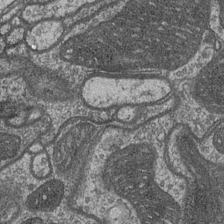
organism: Drosophila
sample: Optic medulla